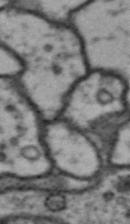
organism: Drosophila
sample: Brain